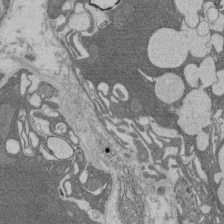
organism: Rat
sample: Salivary granule